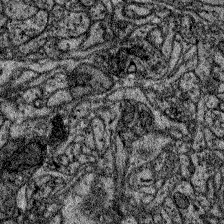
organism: Zebrafish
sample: Larval olfactory bulb